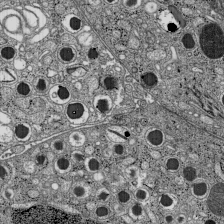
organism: C57BL Mouse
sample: Pancreatic islet